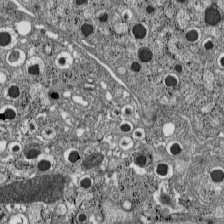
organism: C57BL Mouse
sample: Pancreatic islet